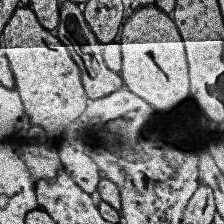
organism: Human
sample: Temporal Lobe